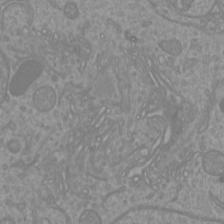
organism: Mouse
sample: Cortical neurons